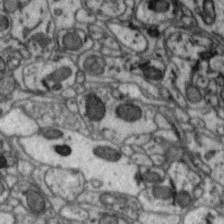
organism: Zebra finch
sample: Brain